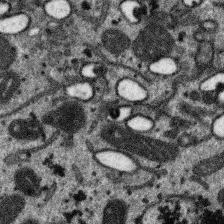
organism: Human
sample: Lung epithelial cells infected with SARS-CoV-2